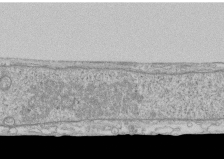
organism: Human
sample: CRL-1474